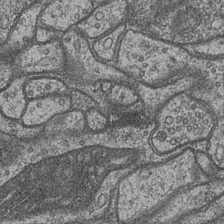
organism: Drosophila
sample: Optic medulla